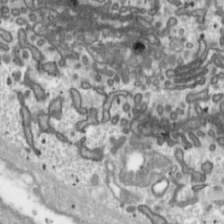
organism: Toxoplasma gondii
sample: Parasites in a vacuole inside a host cell